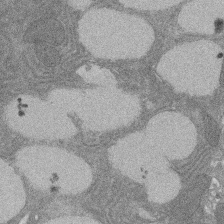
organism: Rat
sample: Salivary granule